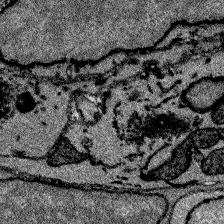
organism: Zebrafish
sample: Larval olfactory bulb